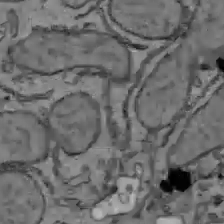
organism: C57BL Mouse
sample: Liver